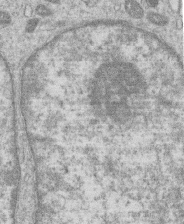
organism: Human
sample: Macrophage cells